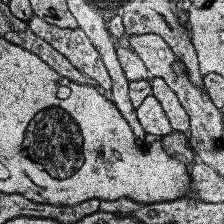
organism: Human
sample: Temporal Lobe